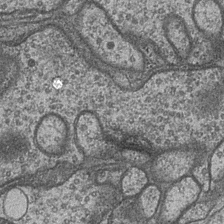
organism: Drosophila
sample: Optic medulla